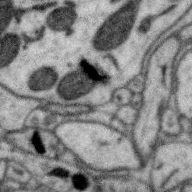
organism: Zebra finch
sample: Brain